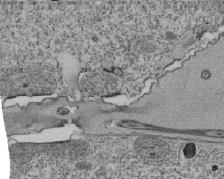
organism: Tetrahymena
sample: Cilia in tetrahymena